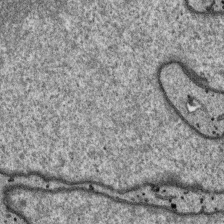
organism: Human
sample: Lung epithelial cells, uninfected (mock) control